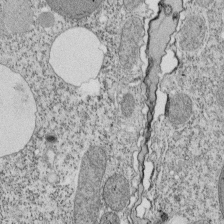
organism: Tetrahymena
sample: Cilia in tetrahymena